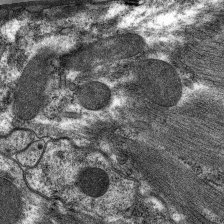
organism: C. elegans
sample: Pharynx